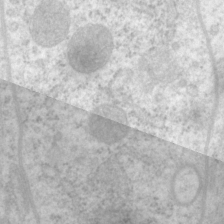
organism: P. pacificus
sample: Pharynx